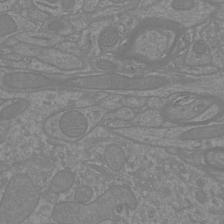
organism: Mouse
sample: Cortical neurons